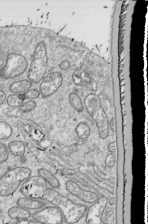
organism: Drosophila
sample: Cell division; meiosis; drosophila spermatocytes